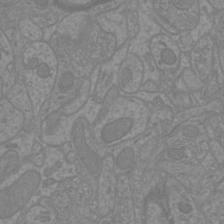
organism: Mouse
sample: Cortical neurons